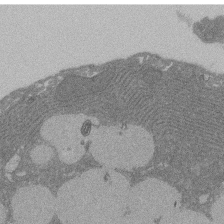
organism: Rat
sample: Salivary granule